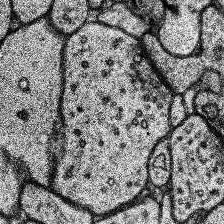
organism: Human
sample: Temporal Lobe